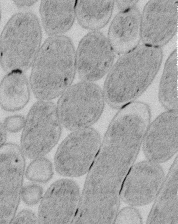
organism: E. coli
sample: Bacterial nucleoid